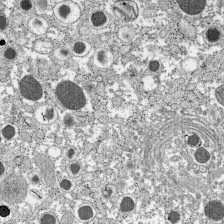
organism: C57BL Mouse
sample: Pancreatic islet